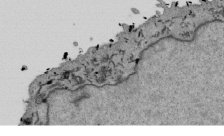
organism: Mouse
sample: ED-1 cell nuclei; centrioles